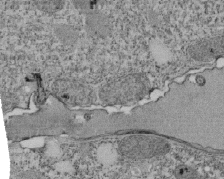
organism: Tetrahymena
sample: Cilia in tetrahymena